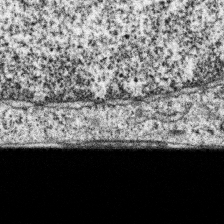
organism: Human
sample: HeLa cells